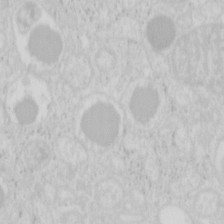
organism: Mouse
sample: Pancreas